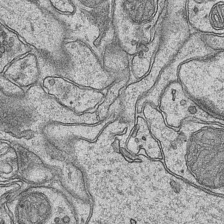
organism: Mouse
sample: CA1 Hippocampus